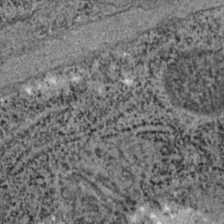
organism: C. elegans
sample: C. elegans embryo